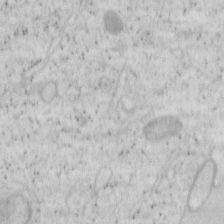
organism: Human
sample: HeLa cells